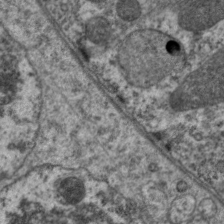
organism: C. elegans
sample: Pharynx